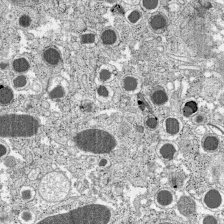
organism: C57BL Mouse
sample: Pancreatic islet